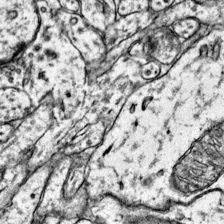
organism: Mouse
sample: Primary visual cortex